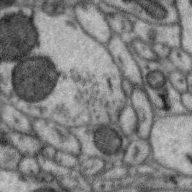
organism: Zebra finch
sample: Brain